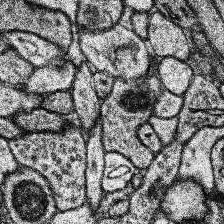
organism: Human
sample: Temporal Lobe